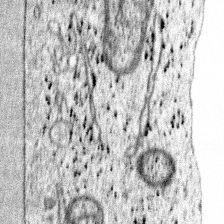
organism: Human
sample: HeLa cells